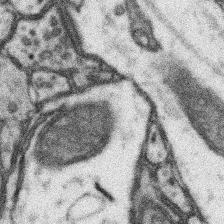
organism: Mouse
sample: Somatosensory cortex neuropil